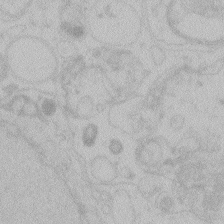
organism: Zebrafish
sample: Macrophage infected with Toxoplasma gondii